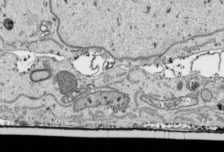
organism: Human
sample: Mitochondria in HCT116 cells